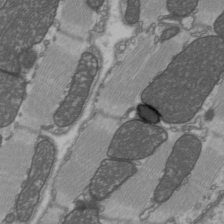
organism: C57BL Mouse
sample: Heart